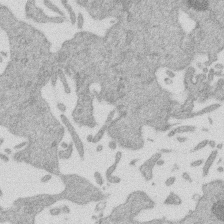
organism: Mouse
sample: Dividing mouse embryo 1 cell stage